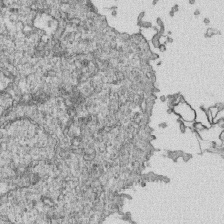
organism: Human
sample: HeLa cell HIV synapse